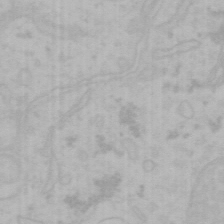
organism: Mouse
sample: Choroid plexus